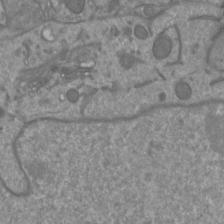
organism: Mouse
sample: Cortical neurons